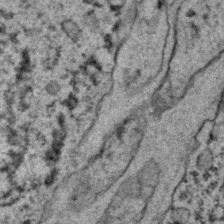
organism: C. elegans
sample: C. elegans embryo